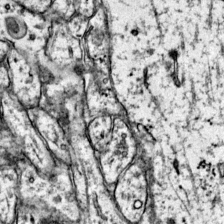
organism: Mouse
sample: Primary visual cortex